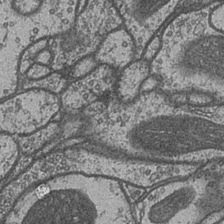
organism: Drosophila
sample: Optic medulla